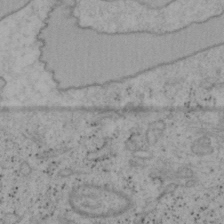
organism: Human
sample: HeLa cells